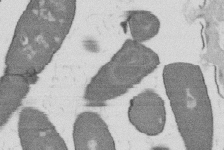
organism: B. subtilis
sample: Bacterial spore